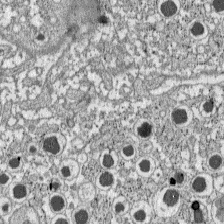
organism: C57BL Mouse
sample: Pancreatic islet